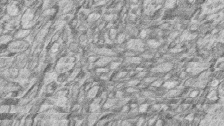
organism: Zebrafish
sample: synaptic ribbons in rod cells and cone cells